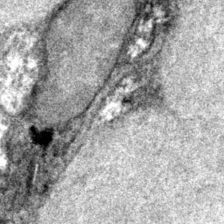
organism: Murine (Unspecified Species)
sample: Bone